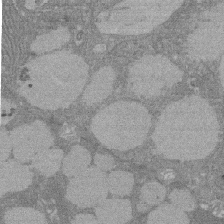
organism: Rat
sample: Salivary granule